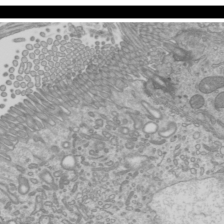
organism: Mouse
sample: Cilia; mouse epididymis